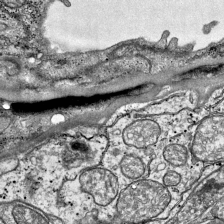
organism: Mouse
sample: Visual Cortex